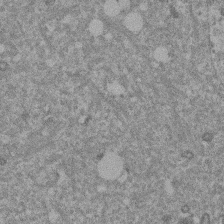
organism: Mouse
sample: Dividing mouse embryo 1 cell stage